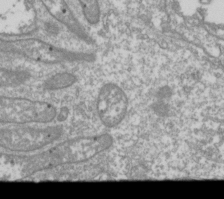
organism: Drosophila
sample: Cell division; meiosis; drosophila spermatocytes